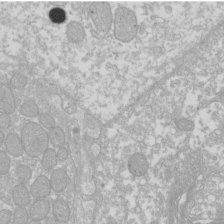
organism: Xenopus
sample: Cilia; centrioles in frog embryo cells